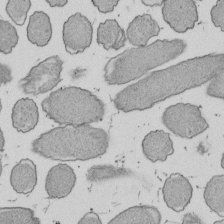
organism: E. coli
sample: Bacterial nucleoid